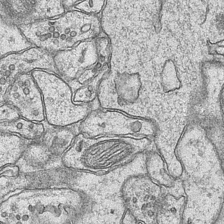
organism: Mouse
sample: CA1 Hippocampus